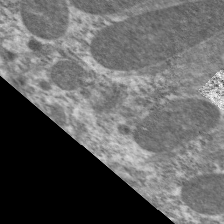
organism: C. elegans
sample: Pharynx